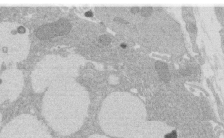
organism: Rat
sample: Salivary granule